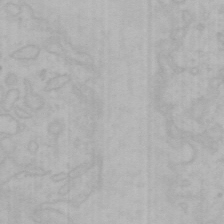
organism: Mouse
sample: Choroid plexus